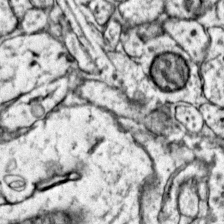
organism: Mouse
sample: Primary visual cortex